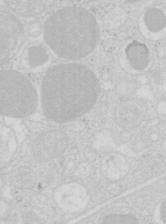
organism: Mouse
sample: Pancreas